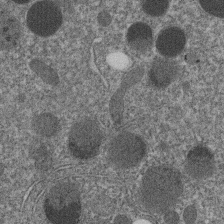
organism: C. elegans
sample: C. elegans embryo early stage